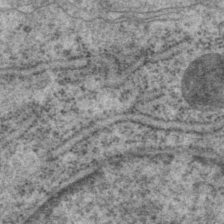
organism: P. pacificus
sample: Pharynx